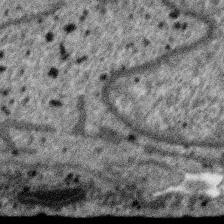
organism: Human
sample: Lung epithelial cells infected with SARS-CoV-2